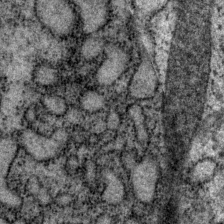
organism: P. pacificus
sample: Pharynx